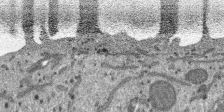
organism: Human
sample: Lung epithelial cells infected with SARS-CoV-2